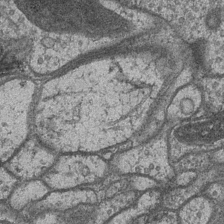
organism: Drosophila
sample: Optic medulla